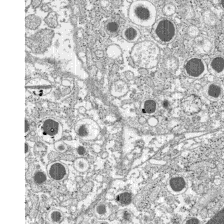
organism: C57BL Mouse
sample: Pancreatic islet